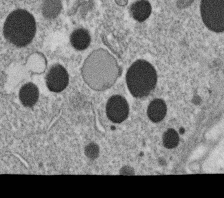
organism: C. elegans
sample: C. elegans oocyte; sperm cells